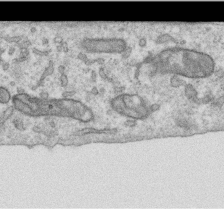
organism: Human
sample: Centriole in RPE cells